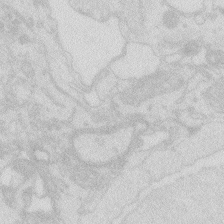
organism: Zebrafish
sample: Macrophage